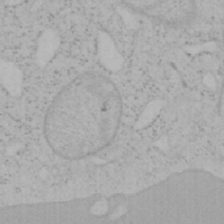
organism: Mouse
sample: OT-I killer T cells with ID8 ovarian cancer cells